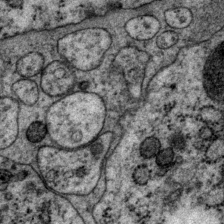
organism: P. pacificus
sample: Pharynx